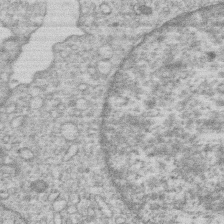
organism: Human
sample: Macrophage cells